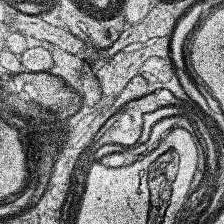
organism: Human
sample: Temporal Lobe